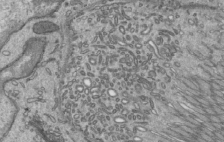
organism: Mouse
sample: Mouse epididymis efferent ductule cilia